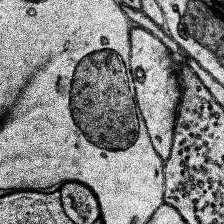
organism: Human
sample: Temporal Lobe